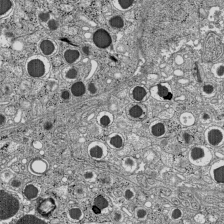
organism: C57BL Mouse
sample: Pancreatic islet